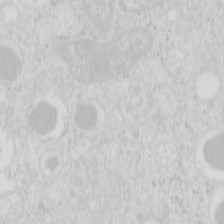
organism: Mouse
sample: Pancreas